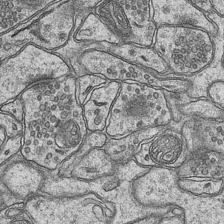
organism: Mouse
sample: CA1 Hippocampus